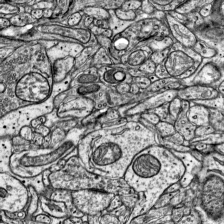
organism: Mouse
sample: Visual Cortex